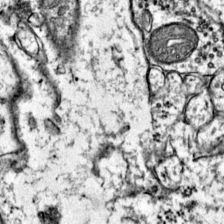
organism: Mouse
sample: Primary visual cortex